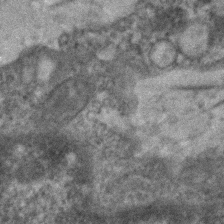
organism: Human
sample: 1205lu cells